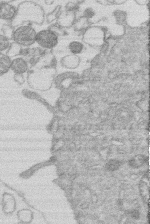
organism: Human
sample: Macrophage cells